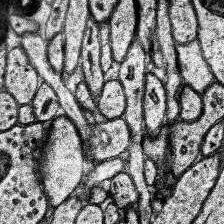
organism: Human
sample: Temporal Lobe